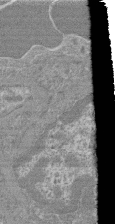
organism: Mouse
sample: Glomerulus